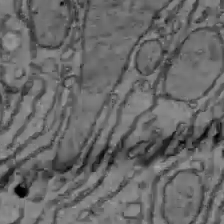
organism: C57BL Mouse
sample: Liver